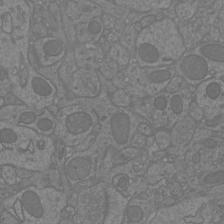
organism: Mouse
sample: Cortical neurons